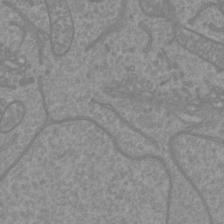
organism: Mouse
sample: Cortical neurons